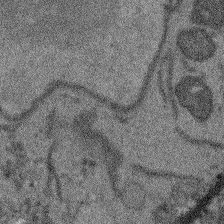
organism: Arabidopsis thaliana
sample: Root tip